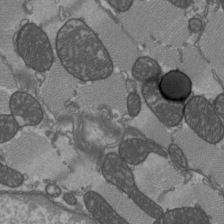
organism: C57BL Mouse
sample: Heart